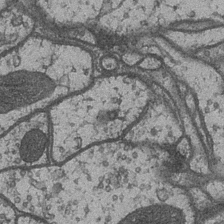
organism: Drosophila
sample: Optic medulla